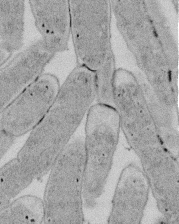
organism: E. coli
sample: Bacterial nucleoid